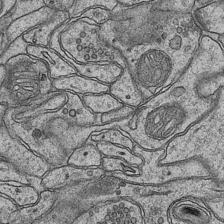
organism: Mouse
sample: CA1 Hippocampus